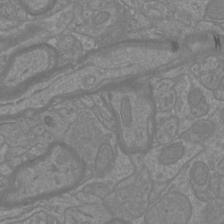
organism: Mouse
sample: Cortical neurons